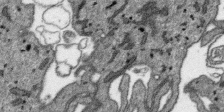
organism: Human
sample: Lung epithelial cells, uninfected (mock) control